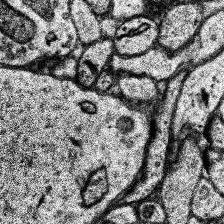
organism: Human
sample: Temporal Lobe